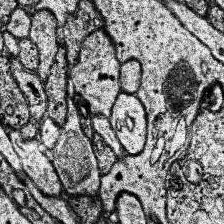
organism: Human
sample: Temporal Lobe